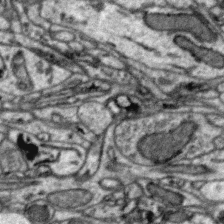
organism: Zebra finch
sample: Brain